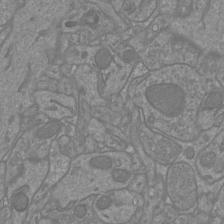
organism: Mouse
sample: Cortical neurons